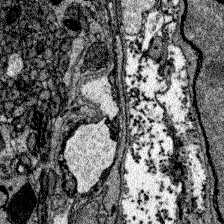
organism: Zebrafish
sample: Larval olfactory bulb